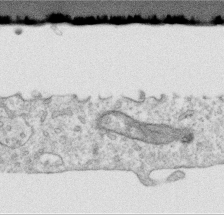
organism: Human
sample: Centriole in RPE cells